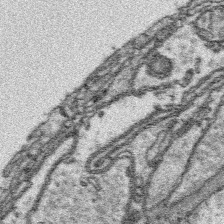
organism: Platynereis dumerilii